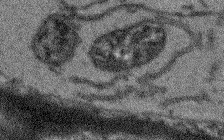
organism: Arabidopsis thaliana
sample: Root tip